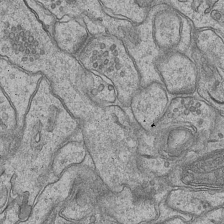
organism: Mouse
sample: CA1 Hippocampus